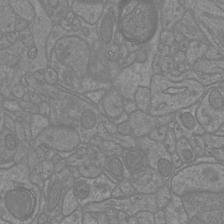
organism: Mouse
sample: Cortical neurons